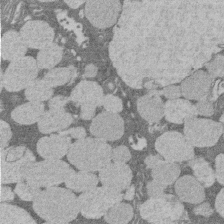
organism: Rat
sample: Salivary granule